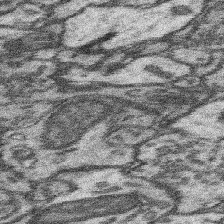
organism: Mouse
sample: Somatosensory cortex neuropil